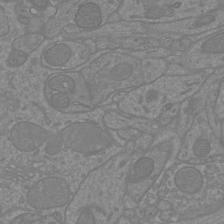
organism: Mouse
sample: Cortical neurons